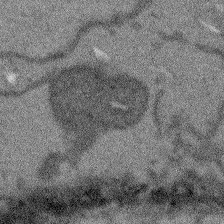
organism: Arabidopsis thaliana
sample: Root tip